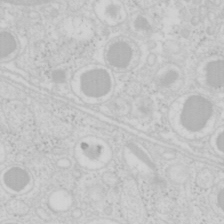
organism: Mouse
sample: Pancreas